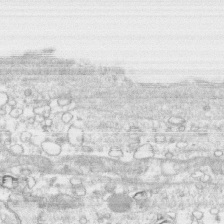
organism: Human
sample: CRL-1474